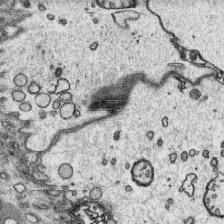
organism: Platynereis dumerilii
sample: Parapodia